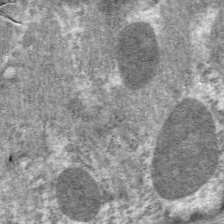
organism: C. elegans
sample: Pharynx